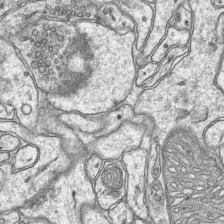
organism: Mouse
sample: CA1 Hippocampus